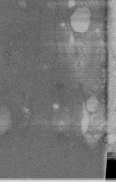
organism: Human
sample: Melanocyte Keratinocyte synapse skin construct